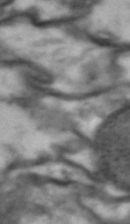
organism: Drosophila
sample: Brain